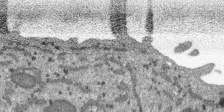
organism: Human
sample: Lung epithelial cells infected with SARS-CoV-2